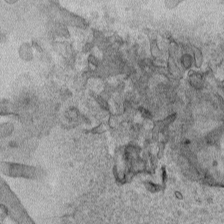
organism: Human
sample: Mitochondria in HCT116 cells